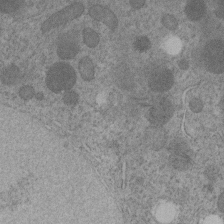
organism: C. elegans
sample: C. elegans embryo early stage